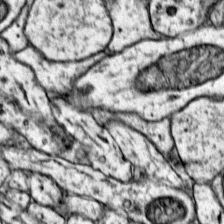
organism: Mouse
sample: Primary visual cortex